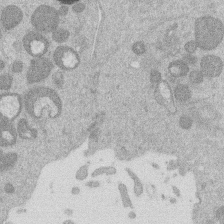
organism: Mouse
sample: Dividing mouse embryo 1 cell stage